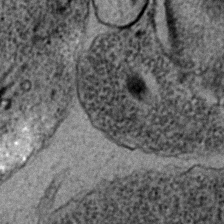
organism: C. elegans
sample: C. elegans embryo